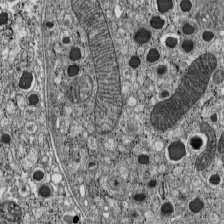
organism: C57BL Mouse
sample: Pancreatic islet